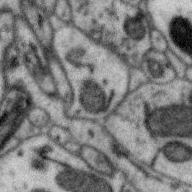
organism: Zebra finch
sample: Brain